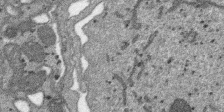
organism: Human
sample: Lung epithelial cells infected with SARS-CoV-2